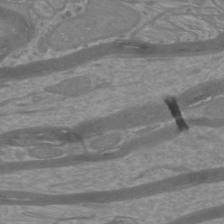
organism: Mouse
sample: Cortical neurons